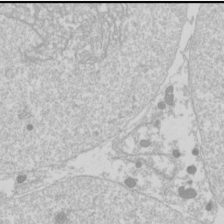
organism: Drosophila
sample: Cell division; meiosis; drosophila spermatocytes